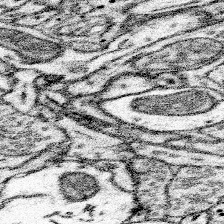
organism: Mouse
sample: Somatosensory cortex neuropil